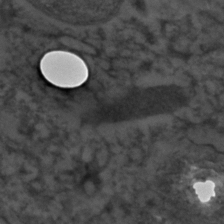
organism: C. elegans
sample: C. elegans embryo